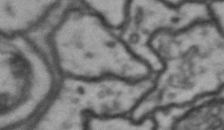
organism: Drosophila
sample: Brain